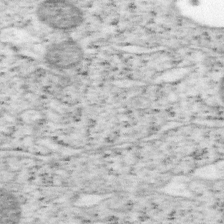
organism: Mouse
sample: OT-I killer T cells with ID8 ovarian cancer cells